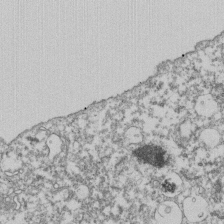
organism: Dictyostelium discoideum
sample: Dictyostelium multivesicular bodies